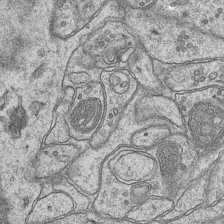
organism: Mouse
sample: CA1 Hippocampus